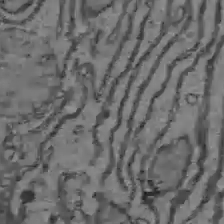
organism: C57BL Mouse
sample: Liver